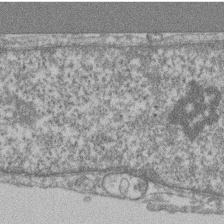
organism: Mouse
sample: T cell stromal cell synapse